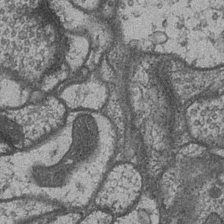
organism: Drosophila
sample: Optic medulla